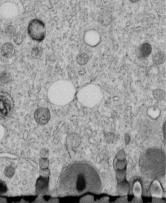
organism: C. elegans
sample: C. elegans embryo early stage